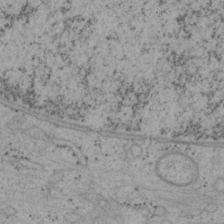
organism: Human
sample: HeLa cells